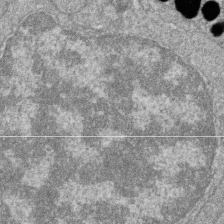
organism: Zebrafish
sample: Cilia; retinal pigment epithelium